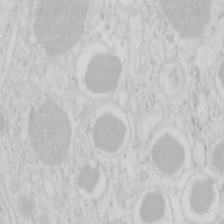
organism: Mouse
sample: Pancreas